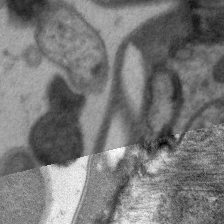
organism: C. elegans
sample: Pharynx